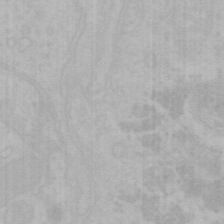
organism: Mouse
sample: Choroid plexus